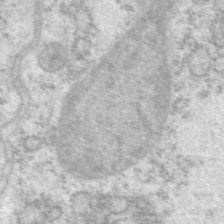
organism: P. pacificus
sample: Pharynx